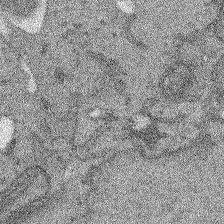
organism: Human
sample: HeLa cells